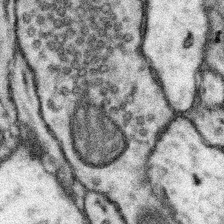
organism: Mouse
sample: Somatosensory cortex neuropil